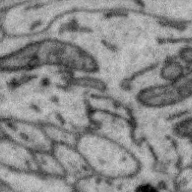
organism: Zebra finch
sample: Brain